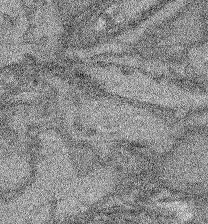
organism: Human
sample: HeLa cells